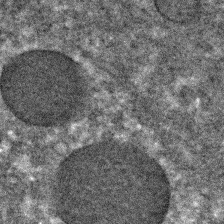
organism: C. elegans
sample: C. elegans embryo